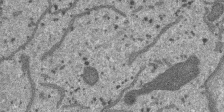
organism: Human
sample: Lung epithelial cells infected with SARS-CoV-2